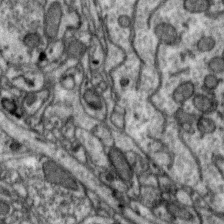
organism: Zebra finch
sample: Brain